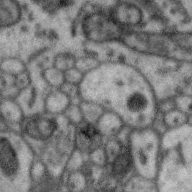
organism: Zebra finch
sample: Brain